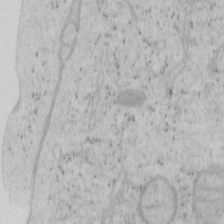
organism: Human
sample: HeLa cells